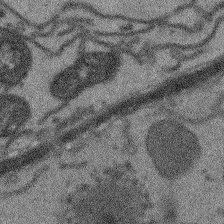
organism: Arabidopsis thaliana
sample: Root tip